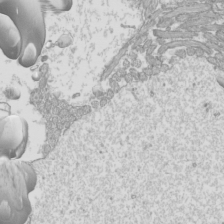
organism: Mouse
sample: Cilia; mouse epididymis